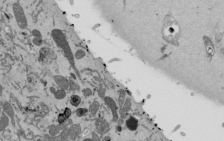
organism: Mouse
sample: ED-1 cell nuclei; centrioles